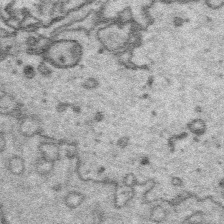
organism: Platynereis dumerilii